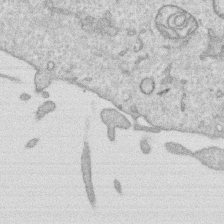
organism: Human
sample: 1205lu cells